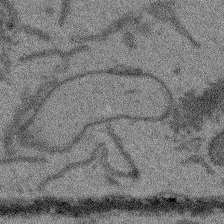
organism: Arabidopsis thaliana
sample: Root tip